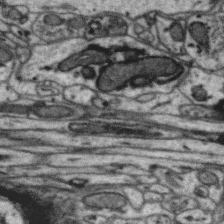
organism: Zebra finch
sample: Brain